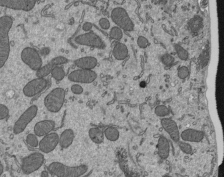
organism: Mouse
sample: Mouse epididymis efferent ductule cilia